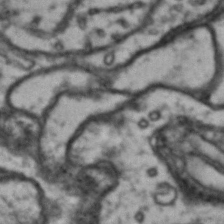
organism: Drosophila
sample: Brain